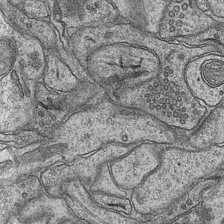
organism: Mouse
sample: CA1 Hippocampus